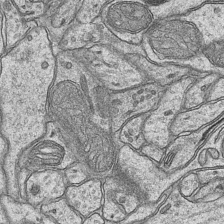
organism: Mouse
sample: CA1 Hippocampus